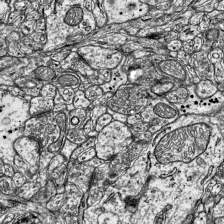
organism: Mouse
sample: Visual Cortex